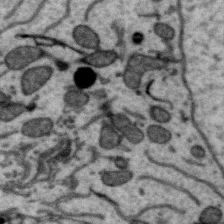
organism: Zebra finch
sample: Brain